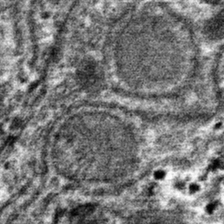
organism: Mouse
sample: Mouse hepatocytes